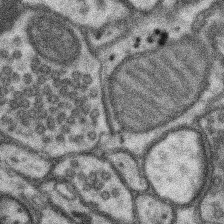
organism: Mouse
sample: Somatosensory cortex neuropil